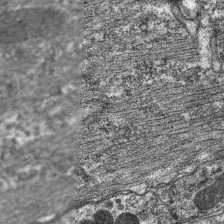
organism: C. elegans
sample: Pharynx